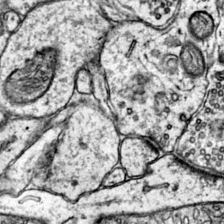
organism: Mouse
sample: Primary visual cortex